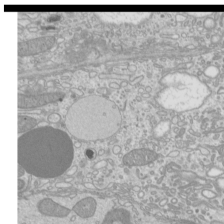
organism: Mouse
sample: Cilia; mouse epididymis